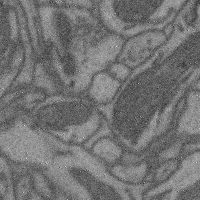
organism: Mouse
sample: Cerebral cortex